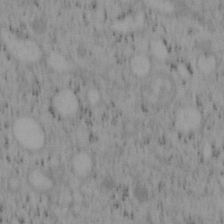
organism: Mouse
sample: OT-I killer T cells with ID8 ovarian cancer cells